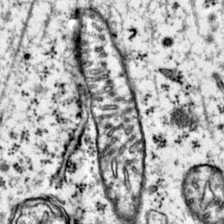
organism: Mouse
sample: Primary visual cortex